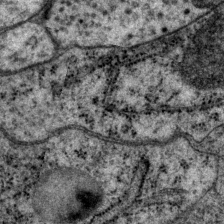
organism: P. pacificus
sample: Pharynx